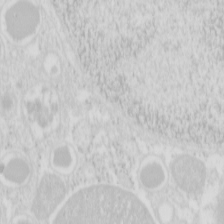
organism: Mouse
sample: Pancreas